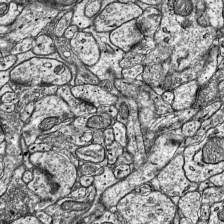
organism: Mouse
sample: Visual Cortex